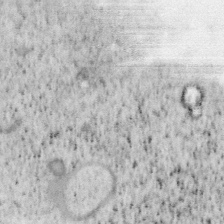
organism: Mouse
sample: OT-I killer T cells with ID8 ovarian cancer cells